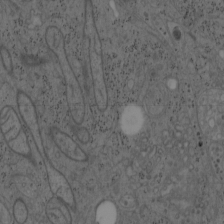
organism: Mouse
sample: OT-I killer T cells with ID8 ovarian cancer cells